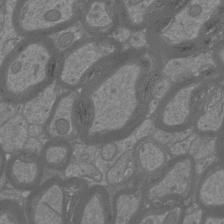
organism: Mouse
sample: Cortical neurons